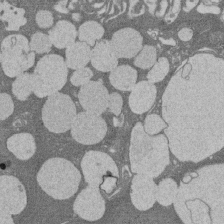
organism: Rat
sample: Salivary granule